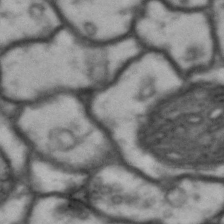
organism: Drosophila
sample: Brain